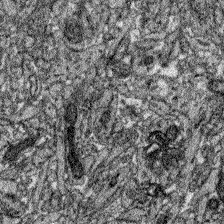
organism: Zebrafish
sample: Larval olfactory bulb